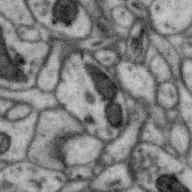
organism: Zebra finch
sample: Brain